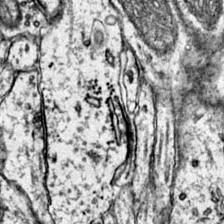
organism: Mouse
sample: Primary visual cortex